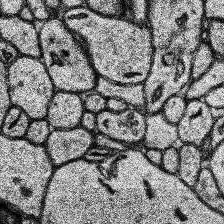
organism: Human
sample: Temporal Lobe